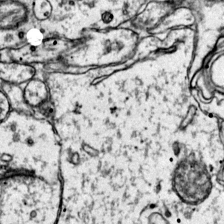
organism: Mouse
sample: Primary visual cortex